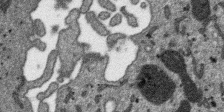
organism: Human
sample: Lung epithelial cells infected with SARS-CoV-2